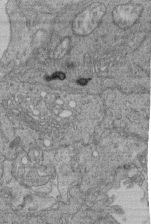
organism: Human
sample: Retinal organoid Rod and Cone cells